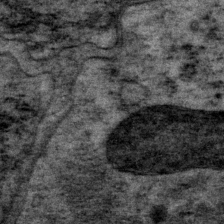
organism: P. pacificus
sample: Pharynx